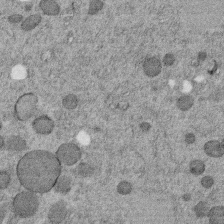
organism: C. elegans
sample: C. elegans embryo early stage